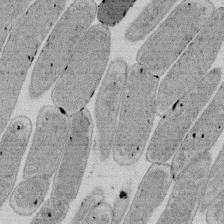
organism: E. coli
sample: Bacterial nucleoid